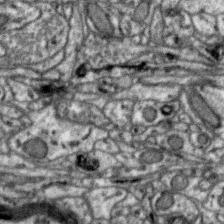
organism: Zebra finch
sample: Brain